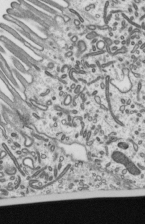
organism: Mouse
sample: Mouse epididymis efferent ductule cilia